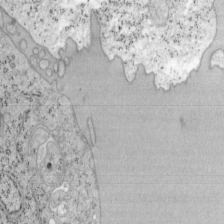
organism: Mouse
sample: OT-I killer T cells with ID8 ovarian cancer cells